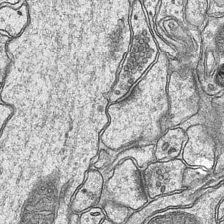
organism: Mouse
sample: CA1 Hippocampus